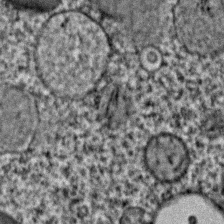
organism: C. elegans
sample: C. elegans embryo